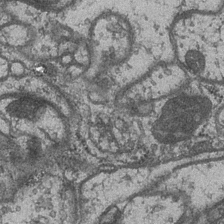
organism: Drosophila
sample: Optic medulla